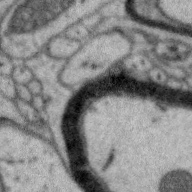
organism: Zebra finch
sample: Brain